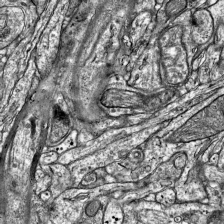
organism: Mouse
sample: Visual Cortex